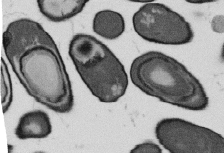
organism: B. subtilis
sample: Bacterial spore